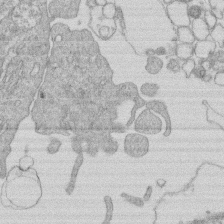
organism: Human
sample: Macrophage cells